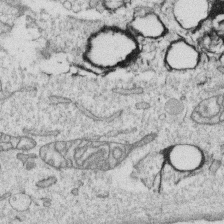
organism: Human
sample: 1205lu cells